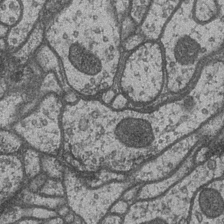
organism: Drosophila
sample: Optic medulla